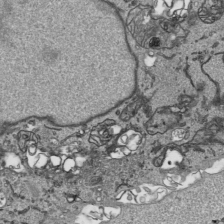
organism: Human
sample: Mitochondria in HCT116 cells